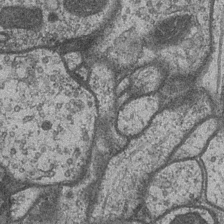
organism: Drosophila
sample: Optic medulla